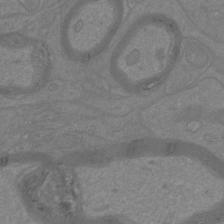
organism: Mouse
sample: Cortical neurons